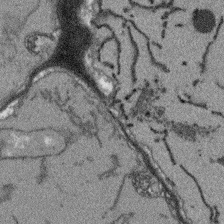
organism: Arabidopsis thaliana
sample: Root tip